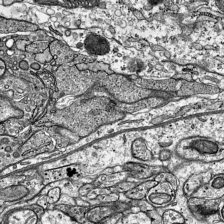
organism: Mouse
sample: Visual Cortex